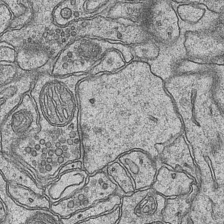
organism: Mouse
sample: CA1 Hippocampus